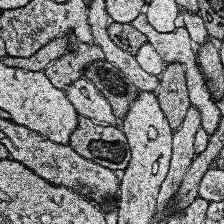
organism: Human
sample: Temporal Lobe